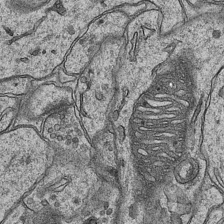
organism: Mouse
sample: CA1 Hippocampus